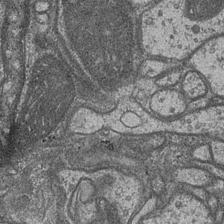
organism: Drosophila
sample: Optic medulla